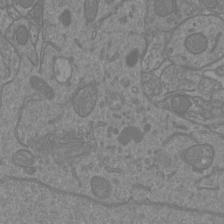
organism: Mouse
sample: Cortical neurons